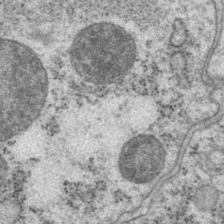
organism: P. pacificus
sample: Pharynx